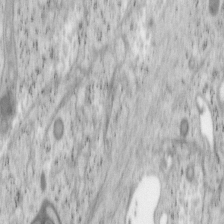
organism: Human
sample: HeLa cells